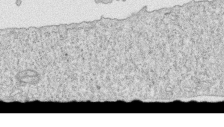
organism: Human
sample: HeLa cell HIV synapse